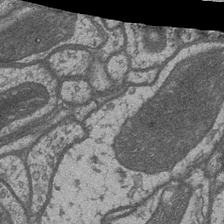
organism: Drosophila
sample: Optic medulla